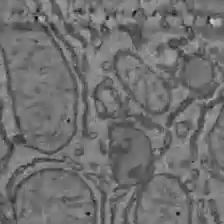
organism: C57BL Mouse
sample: Liver